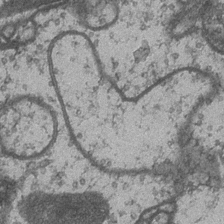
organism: Drosophila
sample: Optic medulla